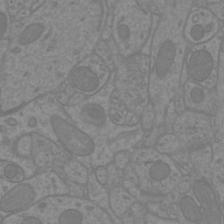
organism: Mouse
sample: Cortical neurons